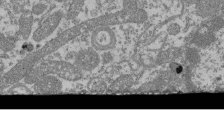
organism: Mouse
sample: Glomerulus